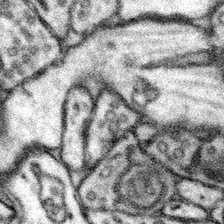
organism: Mouse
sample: Somatosensory cortex neuropil